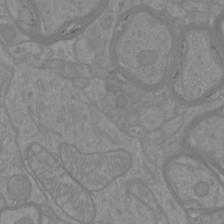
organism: Mouse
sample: Cortical neurons